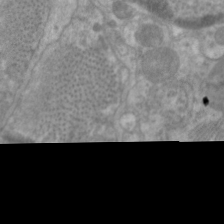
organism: C. elegans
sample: Pharynx